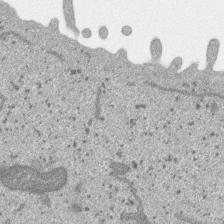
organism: Human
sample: Lung epithelial cells infected with SARS-CoV-2